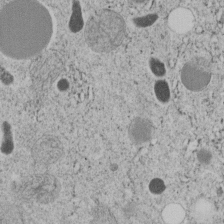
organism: C. elegans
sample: C. elegans embryo early stage